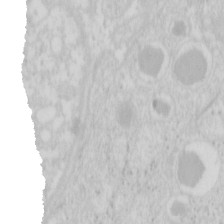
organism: Mouse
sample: Pancreas